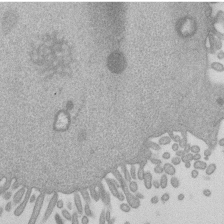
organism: Mouse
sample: Dividing mouse embryo 1 cell stage